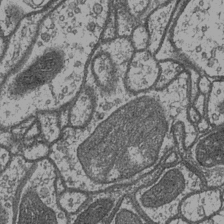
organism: Drosophila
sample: Optic medulla